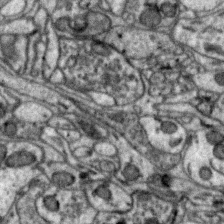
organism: Zebra finch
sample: Brain